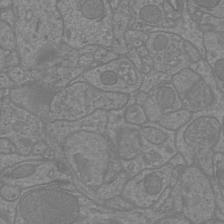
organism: Mouse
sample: Cortical neurons